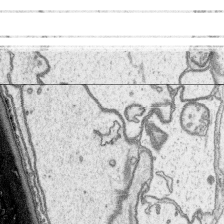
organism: Platynereis dumerilii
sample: Parapodia